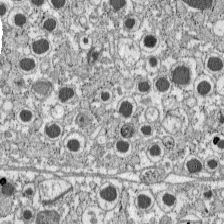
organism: C57BL Mouse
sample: Pancreatic islet